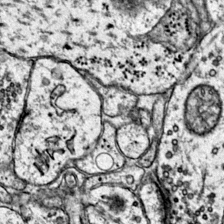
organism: Mouse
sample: Primary visual cortex